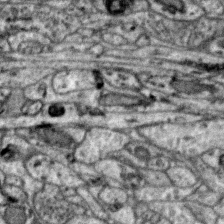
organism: Zebra finch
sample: Brain